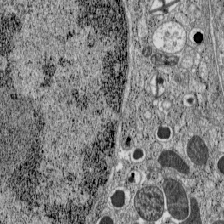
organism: C57BL Mouse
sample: Pancreatic islet